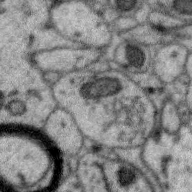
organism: Zebra finch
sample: Brain